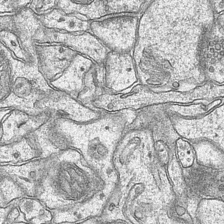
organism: Mouse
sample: CA1 Hippocampus